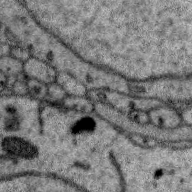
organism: Zebra finch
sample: Brain